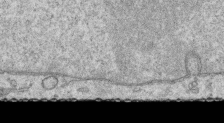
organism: Human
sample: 1205lu cells